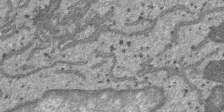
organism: Human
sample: Lung epithelial cells infected with SARS-CoV-2